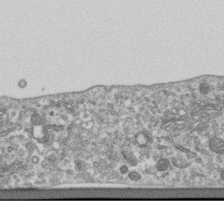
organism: Human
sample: Centriole in RPE cells